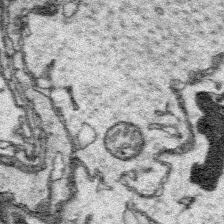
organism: Platynereis dumerilii